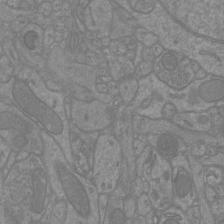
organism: Mouse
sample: Cortical neurons